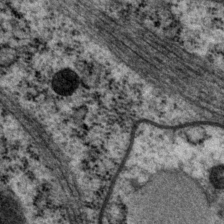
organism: P. pacificus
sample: Pharynx